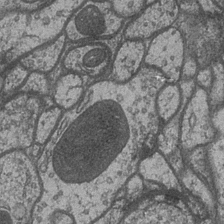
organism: Drosophila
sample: Optic medulla